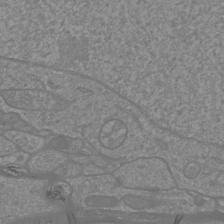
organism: Mouse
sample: Cortical neurons